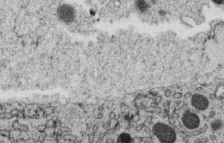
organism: C. elegans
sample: C. elegans oocyte; sperm cells